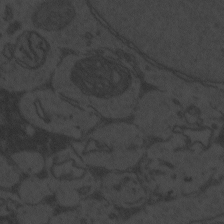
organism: Zebrafish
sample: Macrophage infected with Toxoplasma gondii